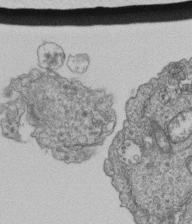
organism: Human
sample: Retinal organoid Rod and Cone cells